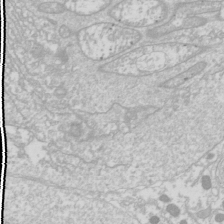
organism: Drosophila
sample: Cell division; meiosis; drosophila spermatocytes